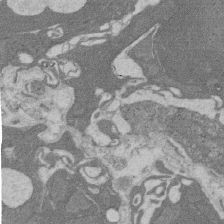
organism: Rat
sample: Salivary granule